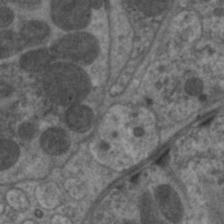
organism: C. elegans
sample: Pharynx